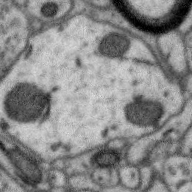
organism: Zebra finch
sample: Brain